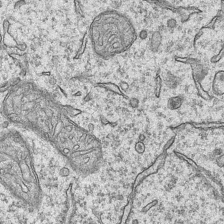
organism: Mouse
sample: CA1 Hippocampus